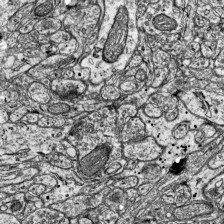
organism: Mouse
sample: Visual Cortex